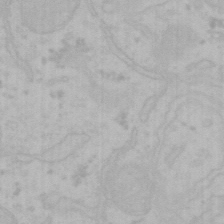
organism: Mouse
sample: Choroid plexus